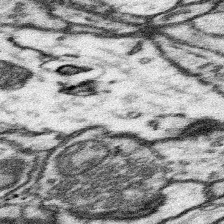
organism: Mouse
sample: Somatosensory cortex neuropil